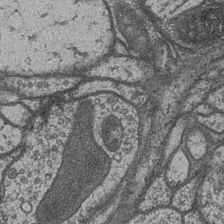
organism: Drosophila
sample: Optic medulla